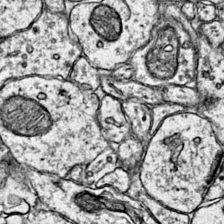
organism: Mouse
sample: Primary visual cortex